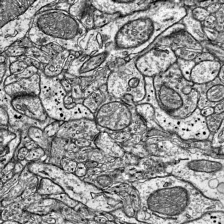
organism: Mouse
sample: Visual Cortex